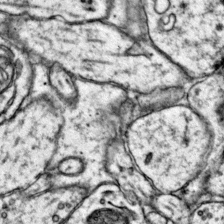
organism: Mouse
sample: Primary visual cortex